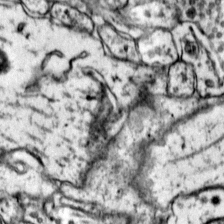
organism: Mouse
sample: Primary visual cortex